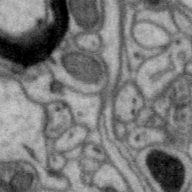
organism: Zebra finch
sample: Brain